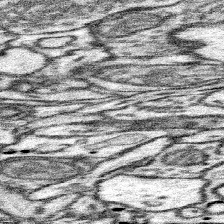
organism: Mouse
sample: Somatosensory cortex neuropil